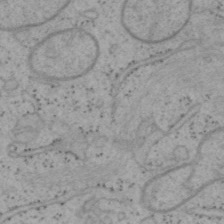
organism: Human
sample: HeLa cells